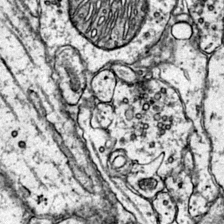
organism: Mouse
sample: Primary visual cortex